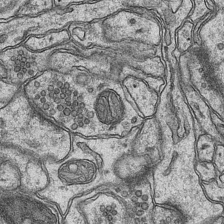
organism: Mouse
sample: CA1 Hippocampus